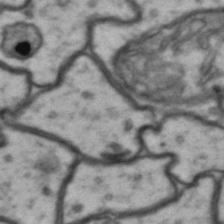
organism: Drosophila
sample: Brain